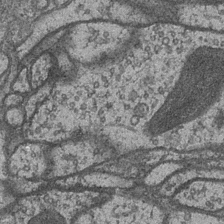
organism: Drosophila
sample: Optic medulla